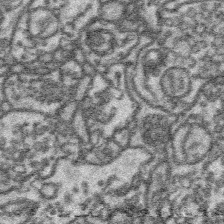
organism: Platynereis dumerilii